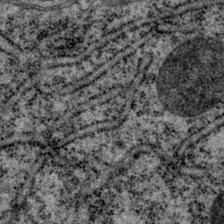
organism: P. pacificus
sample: Pharynx